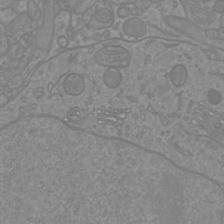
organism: Mouse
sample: Cortical neurons